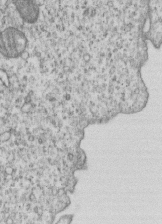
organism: Human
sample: MDA-MB-231 cells